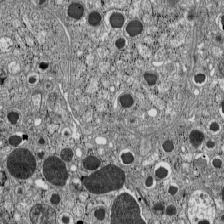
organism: C57BL Mouse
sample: Pancreatic islet